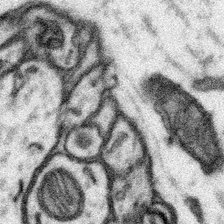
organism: Mouse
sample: Somatosensory cortex neuropil